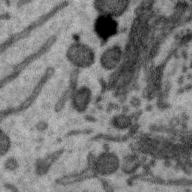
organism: Zebra finch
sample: Brain